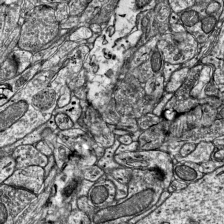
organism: Mouse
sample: Visual Cortex